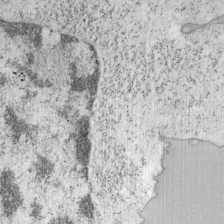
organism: Mouse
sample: OT-I killer T cells with ID8 ovarian cancer cells